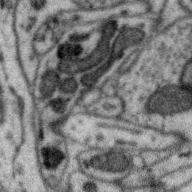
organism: Zebra finch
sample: Brain